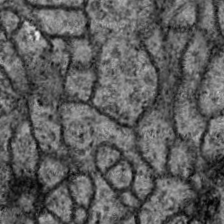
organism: Drosophila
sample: Ventral Nerve Cord